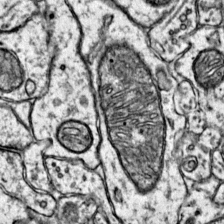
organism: Mouse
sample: Primary visual cortex